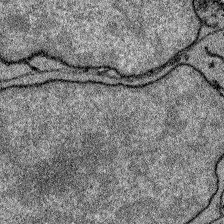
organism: Zebrafish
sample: Larval olfactory bulb